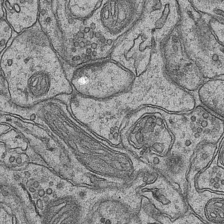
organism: Mouse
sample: CA1 Hippocampus